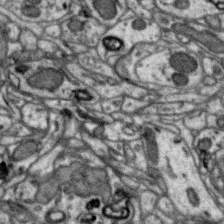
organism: Zebra finch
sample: Brain